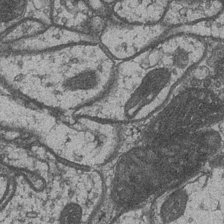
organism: Drosophila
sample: Optic medulla